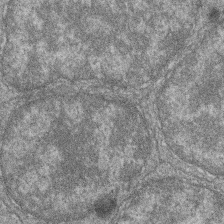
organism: Zebrafish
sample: Cilia; retinal pigment epithelium